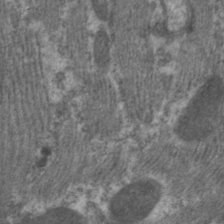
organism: C. elegans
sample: Pharynx